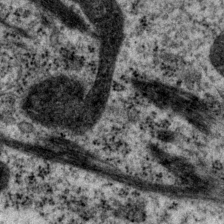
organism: P. pacificus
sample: Pharynx